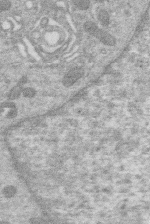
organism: Human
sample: Macrophage cells